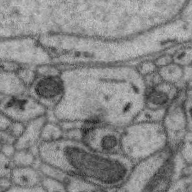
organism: Zebra finch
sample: Brain